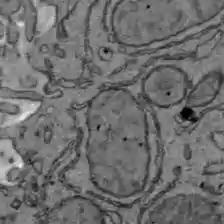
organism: C57BL Mouse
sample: Liver